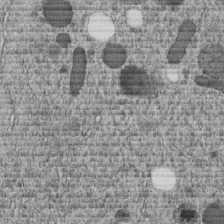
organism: C. elegans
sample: C. elegans embryo early stage